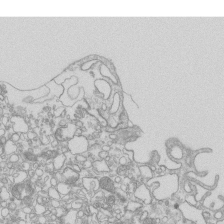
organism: Mouse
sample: Macrophages